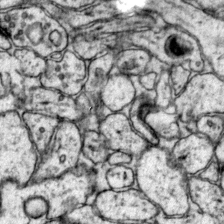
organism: Mouse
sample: Primary visual cortex